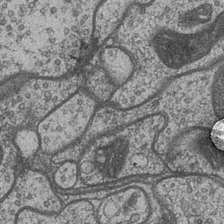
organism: Drosophila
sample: Optic medulla